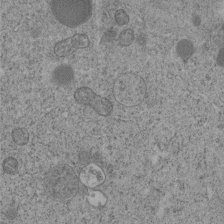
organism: C. elegans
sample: C. elegans embryo early stage